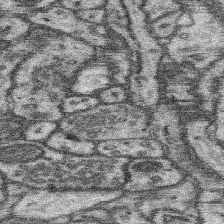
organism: Mouse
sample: Somatosensory cortex neuropil